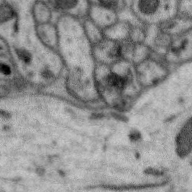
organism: Zebra finch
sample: Brain